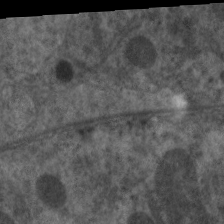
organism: C. elegans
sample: Pharynx